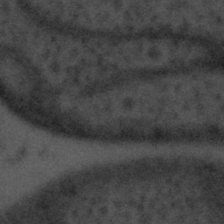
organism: Tuwongella immobilis